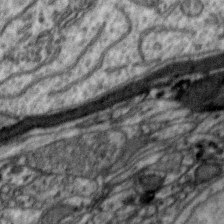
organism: Zebra finch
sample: Brain